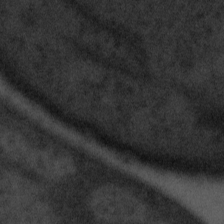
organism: Tuwongella immobilis